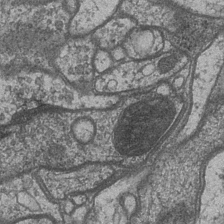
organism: Drosophila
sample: Optic medulla